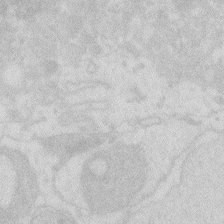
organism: Zebrafish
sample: Macrophage